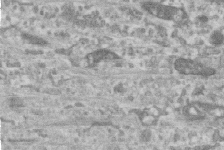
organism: Human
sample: Centriole in RPE cells